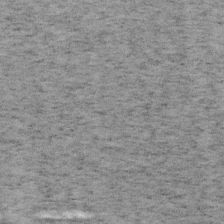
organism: Mouse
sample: OT-I killer T cells with ID8 ovarian cancer cells